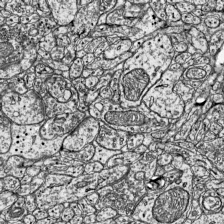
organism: Mouse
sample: Visual Cortex